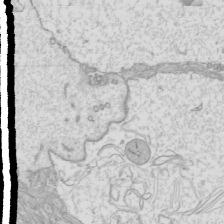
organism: Mouse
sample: Cilia; mouse epididymis